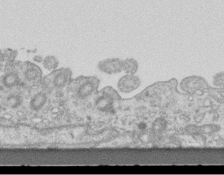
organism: Mouse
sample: Centriole in ependymal cells